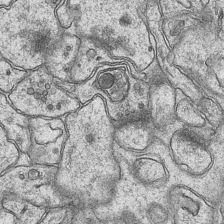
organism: Mouse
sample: CA1 Hippocampus